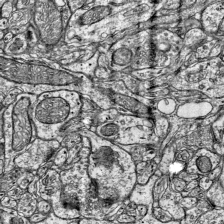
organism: Mouse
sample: Visual Cortex